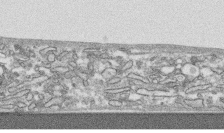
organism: Human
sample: CRL-1474